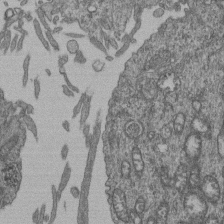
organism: Human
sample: Retinal organoid Rod and Cone cells